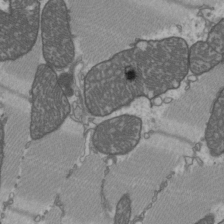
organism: C57BL Mouse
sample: Heart